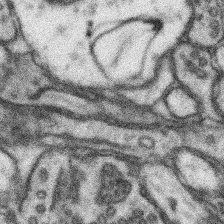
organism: Mouse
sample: Somatosensory cortex neuropil